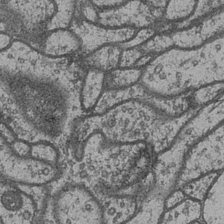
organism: Drosophila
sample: Optic medulla